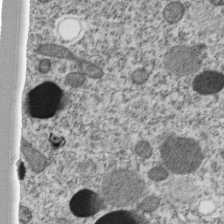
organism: C. elegans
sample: C. elegans embryo early stage